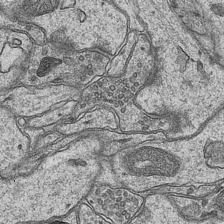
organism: Mouse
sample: CA1 Hippocampus